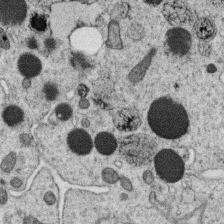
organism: C. elegans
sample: C. elegans oocyte; sperm cells